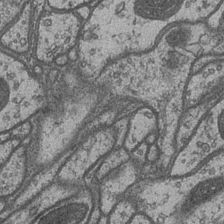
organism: Drosophila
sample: Optic medulla